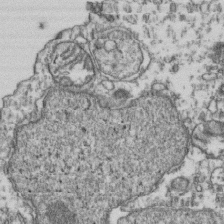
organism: Human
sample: Activated Jurkat CD4+ T cells